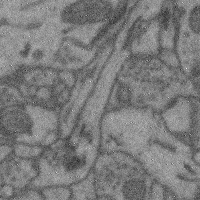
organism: Mouse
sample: Cerebral cortex